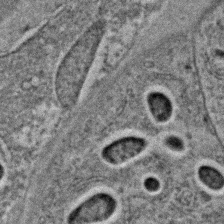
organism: C. elegans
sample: C. elegans embryo